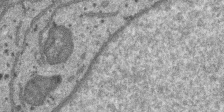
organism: Human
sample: Lung epithelial cells infected with SARS-CoV-2